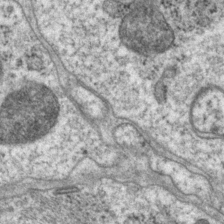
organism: P. pacificus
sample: Pharynx